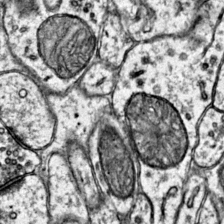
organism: Mouse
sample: Primary visual cortex